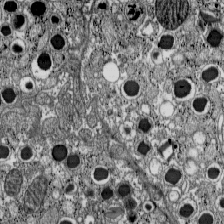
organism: C57BL Mouse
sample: Pancreatic islet